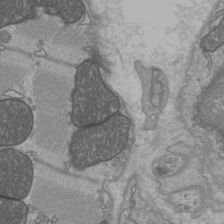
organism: C57BL Mouse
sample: Heart